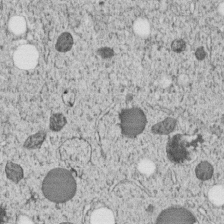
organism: C. elegans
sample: C. elegans embryo early stage